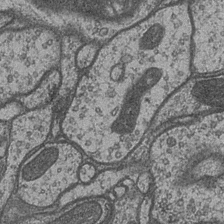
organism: Drosophila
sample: Optic medulla